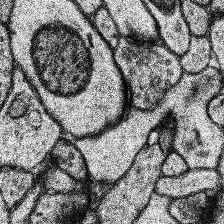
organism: Human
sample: Temporal Lobe